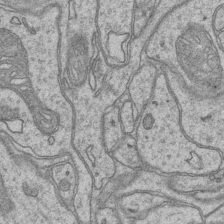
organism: Mouse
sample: CA1 Hippocampus